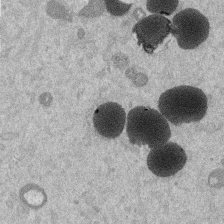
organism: Mouse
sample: Dividing mouse embryo 1 cell stage